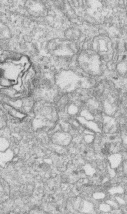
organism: Human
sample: HeLa cell HIV synapse